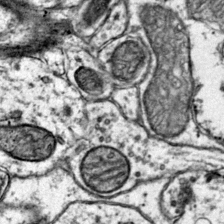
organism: Mouse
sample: Primary visual cortex